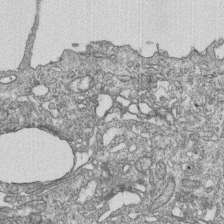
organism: Human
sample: HeLa cell HIV synapse